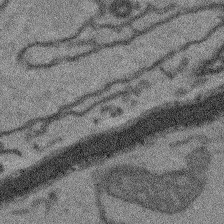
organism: Arabidopsis thaliana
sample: Root tip